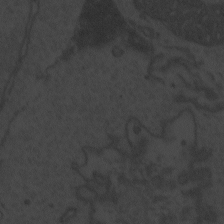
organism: Zebrafish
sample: Macrophage infected with Toxoplasma gondii